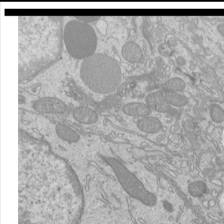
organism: Mouse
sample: Cilia; mouse epididymis